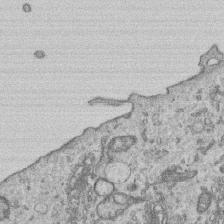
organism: Human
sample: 1205lu cells